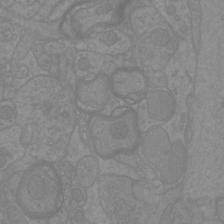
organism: Mouse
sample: Cortical neurons